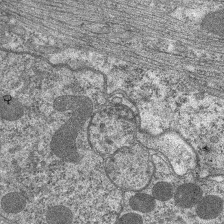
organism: C. elegans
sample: Pharynx